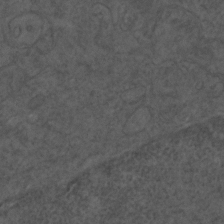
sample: Trachea